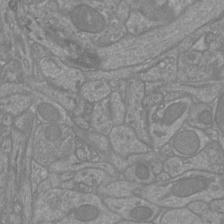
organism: Mouse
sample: Cortical neurons